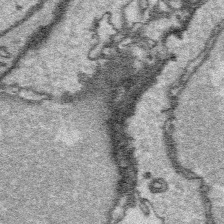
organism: Platynereis dumerilii